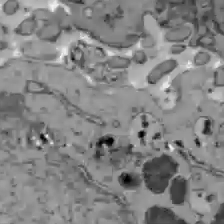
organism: C57BL Mouse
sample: Liver